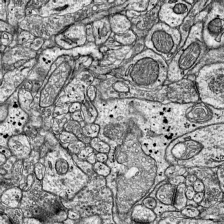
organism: Mouse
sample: Visual Cortex